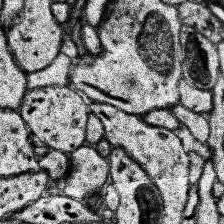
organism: Human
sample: Temporal Lobe